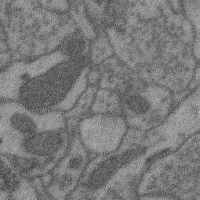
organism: Mouse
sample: Cerebral cortex